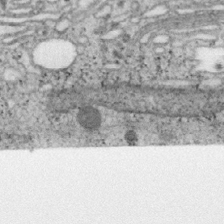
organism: Mouse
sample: OT-I killer T cells with ID8 ovarian cancer cells